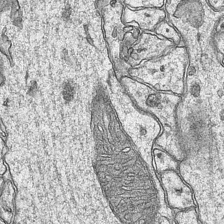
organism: Mouse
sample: CA1 Hippocampus